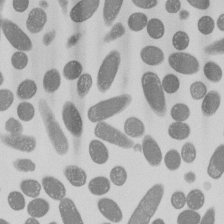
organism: E. coli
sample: Bacterial nucleoid